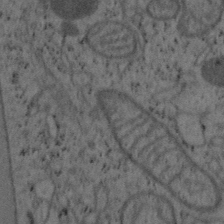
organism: Human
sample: HeLa cells